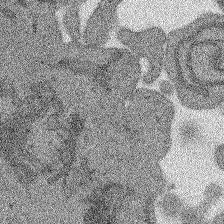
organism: Human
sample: HeLa cells